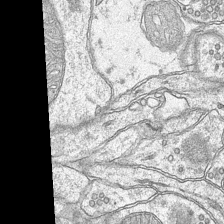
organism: Mouse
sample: CA1 Hippocampus